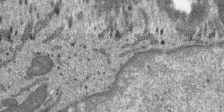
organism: Human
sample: Lung epithelial cells infected with SARS-CoV-2